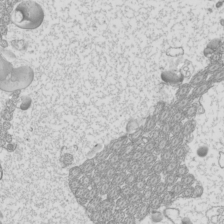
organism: Mouse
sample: Cilia; mouse epididymis